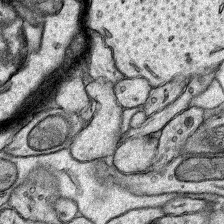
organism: Rat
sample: Hippocampus